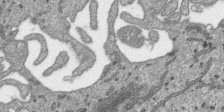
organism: Human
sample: Lung epithelial cells infected with SARS-CoV-2